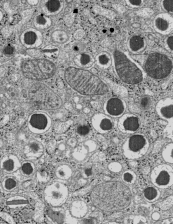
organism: C57BL Mouse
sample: Pancreatic islet